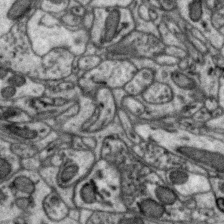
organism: Zebra finch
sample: Brain